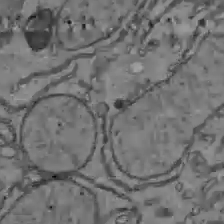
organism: C57BL Mouse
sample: Liver